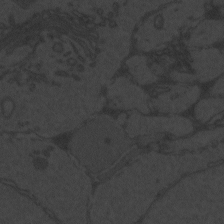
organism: Zebrafish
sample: Macrophage infected with Toxoplasma gondii